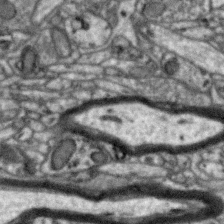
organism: Zebra finch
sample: Brain